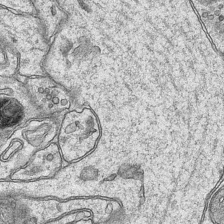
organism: Mouse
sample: CA1 Hippocampus